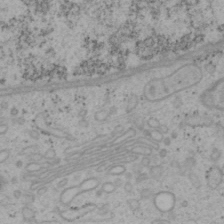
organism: Human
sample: HeLa cells